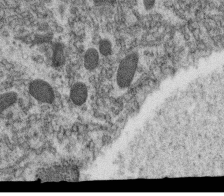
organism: C. elegans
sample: C. elegans oocyte; sperm cells